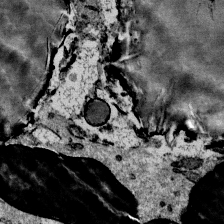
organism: Mouse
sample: Mouse Salivary gland